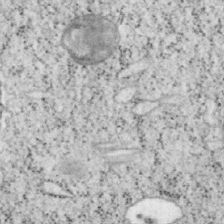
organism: Mouse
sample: OT-I killer T cells with ID8 ovarian cancer cells